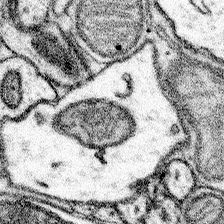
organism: Mouse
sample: Somatosensory cortex neuropil